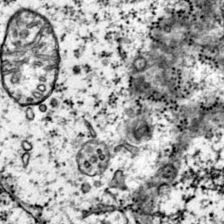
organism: Mouse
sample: Primary visual cortex